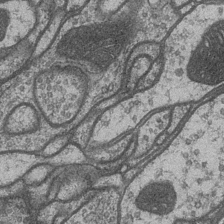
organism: Drosophila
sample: Optic medulla